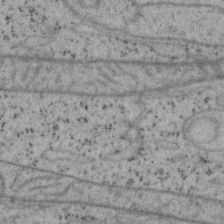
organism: Human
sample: HeLa cells